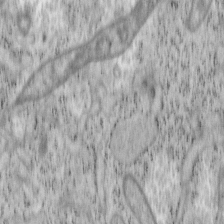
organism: Human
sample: HeLa cells